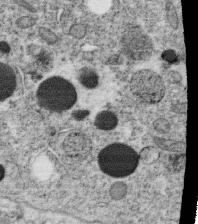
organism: C. elegans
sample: C. elegans oocyte; sperm cells